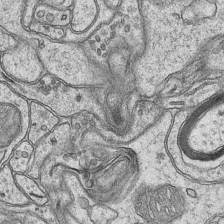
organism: Mouse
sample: CA1 Hippocampus